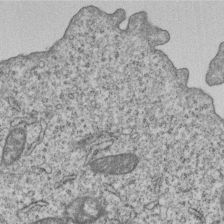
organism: Human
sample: MDA-MB-231 cells